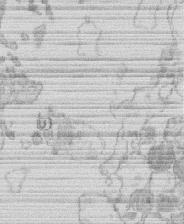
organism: Human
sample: Macrophage cells